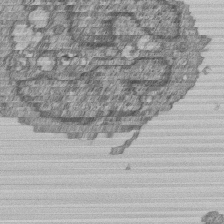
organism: Human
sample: MDA-MB-231 cells